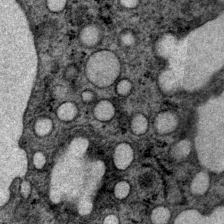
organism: P. pacificus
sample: Pharynx